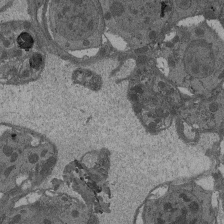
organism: Drosophila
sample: Antenna